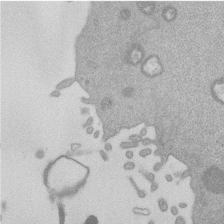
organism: Mouse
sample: Dividing mouse embryo 1 cell stage